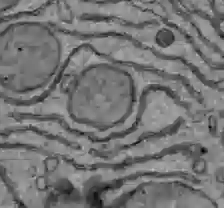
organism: C57BL Mouse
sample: Liver